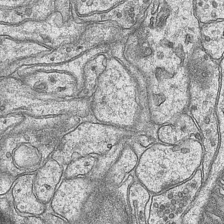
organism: Mouse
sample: CA1 Hippocampus